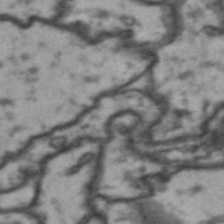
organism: Drosophila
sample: Brain